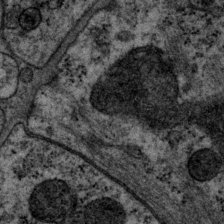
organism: P. pacificus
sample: Pharynx